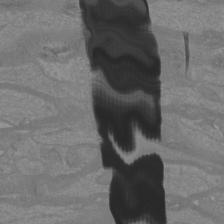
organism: Mouse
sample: Cortical neurons